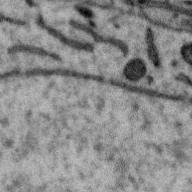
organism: Zebra finch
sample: Brain